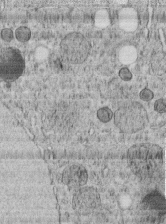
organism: C. elegans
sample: C. elegans embryo early stage